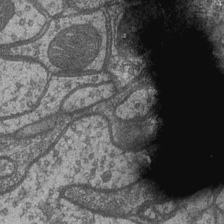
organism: Drosophila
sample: Optic medulla